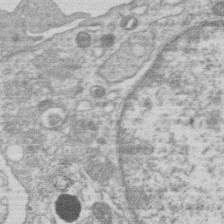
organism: Human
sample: Macrophage cells